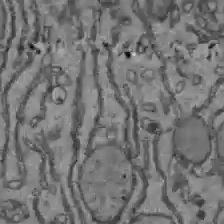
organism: C57BL Mouse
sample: Liver